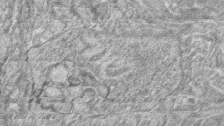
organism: Zebrafish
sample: synaptic ribbons in rod cells and cone cells